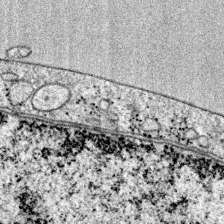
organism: Human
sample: HeLa cells